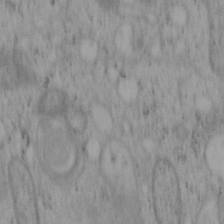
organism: Mouse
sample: OT-I killer T cells with ID8 ovarian cancer cells